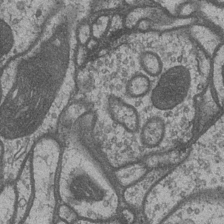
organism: Drosophila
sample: Optic medulla